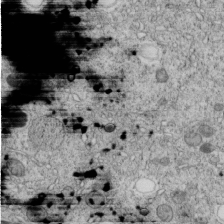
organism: C. elegans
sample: C. elegans embryo early stage